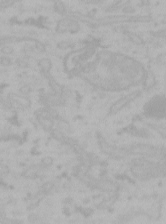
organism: Mouse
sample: Choroid plexus